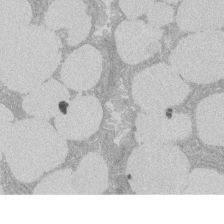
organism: Rat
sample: Salivary granule